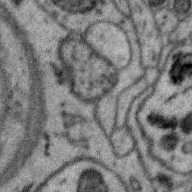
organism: Zebra finch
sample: Brain